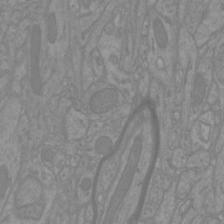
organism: Mouse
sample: Cortical neurons